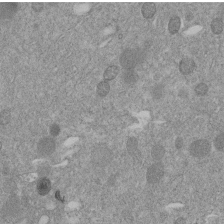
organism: C. elegans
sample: C. elegans embryo early stage